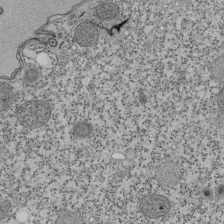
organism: Tetrahymena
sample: Cilia in tetrahymena